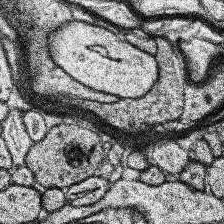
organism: Human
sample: Temporal Lobe